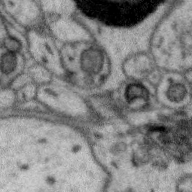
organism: Zebra finch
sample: Brain